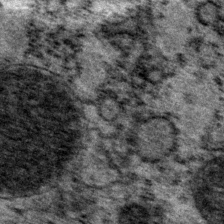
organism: P. pacificus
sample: Pharynx